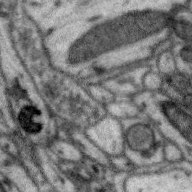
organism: Zebra finch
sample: Brain